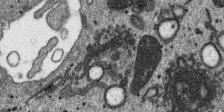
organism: Human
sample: Lung epithelial cells infected with SARS-CoV-2